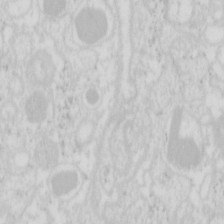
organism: Mouse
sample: Pancreas